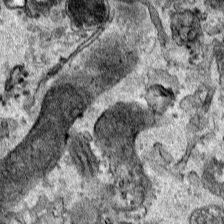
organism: Human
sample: Mitochondria in HCT116 cells